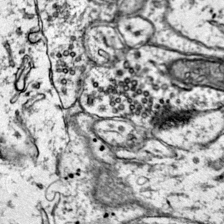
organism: Mouse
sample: Primary visual cortex